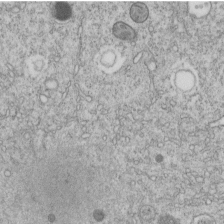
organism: C. elegans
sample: C. elegans embryo early stage